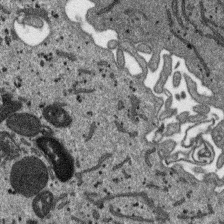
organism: Human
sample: Lung epithelial cells infected with SARS-CoV-2